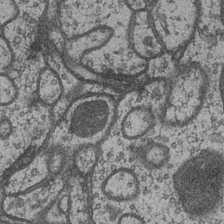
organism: Drosophila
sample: Optic medulla